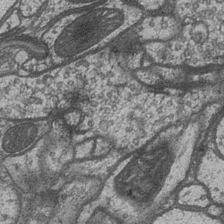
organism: Drosophila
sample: Optic medulla